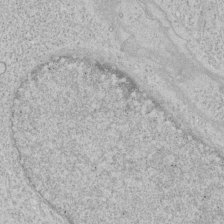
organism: Human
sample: Mitochondria in HCT116 cells